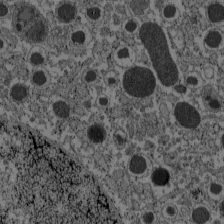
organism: C57BL Mouse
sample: Pancreatic islet